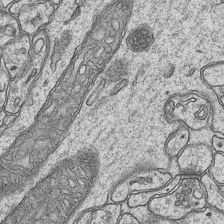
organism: Mouse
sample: CA1 Hippocampus